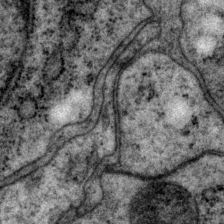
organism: P. pacificus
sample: Pharynx